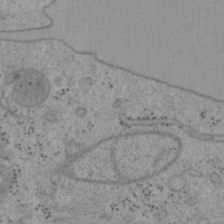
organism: Human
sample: HeLa cells